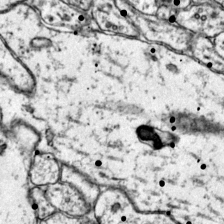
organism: Mouse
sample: Primary visual cortex